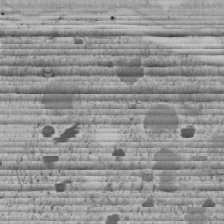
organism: C. elegans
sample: C. elegans embryo early stage